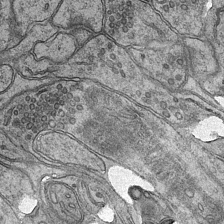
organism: Mouse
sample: CA1 Hippocampus